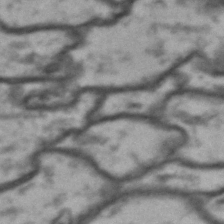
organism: Drosophila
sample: Brain